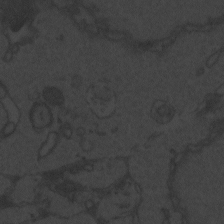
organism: Zebrafish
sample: Macrophage infected with Toxoplasma gondii